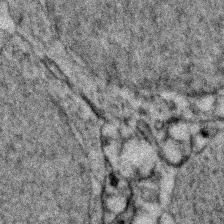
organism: Zebrafish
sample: Zebrafish embryo